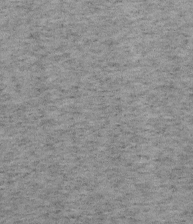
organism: Mouse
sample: OT-I killer T cells with ID8 ovarian cancer cells